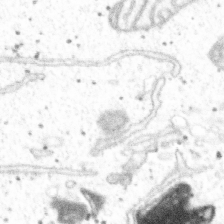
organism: Human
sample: HeLa cells